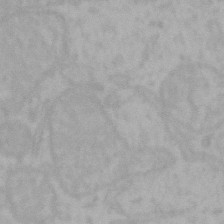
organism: Mouse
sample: Choroid plexus